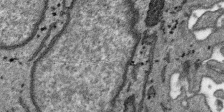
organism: Human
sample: Lung epithelial cells, uninfected (mock) control